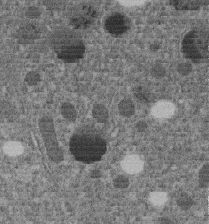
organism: C. elegans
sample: C. elegans embryo early stage